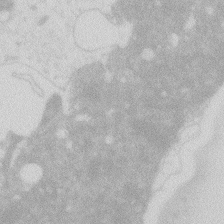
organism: Zebrafish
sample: Macrophage